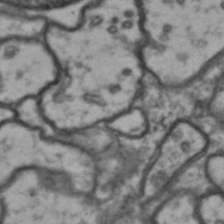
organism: Drosophila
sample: Brain